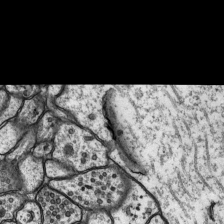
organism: Rat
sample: Hippocampus